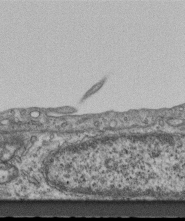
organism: Mouse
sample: Centriole in ependymal cells